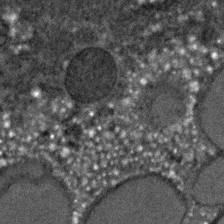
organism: C. elegans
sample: C. elegans embryo